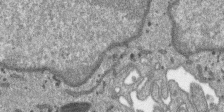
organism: Human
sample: Lung epithelial cells infected with SARS-CoV-2